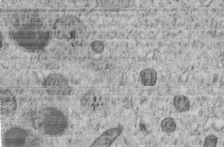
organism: C. elegans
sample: C. elegans embryo early stage